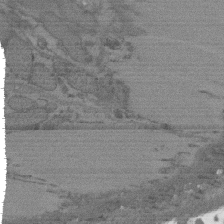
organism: C. elegans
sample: AFD neurons C. elegans